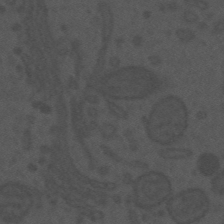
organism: Mouse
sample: Suprachiasmatic nucleus